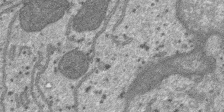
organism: Human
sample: Lung epithelial cells infected with SARS-CoV-2